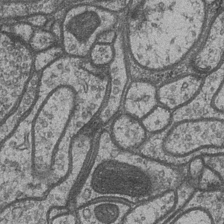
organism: Drosophila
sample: Optic medulla